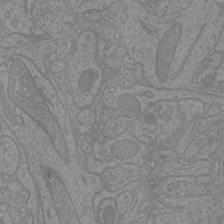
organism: Mouse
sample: Cortical neurons